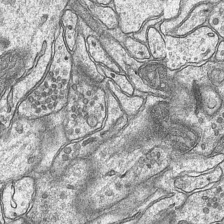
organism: Mouse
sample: CA1 Hippocampus